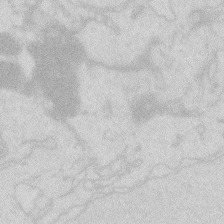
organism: Zebrafish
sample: Macrophage